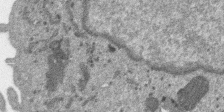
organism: Human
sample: Lung epithelial cells infected with SARS-CoV-2